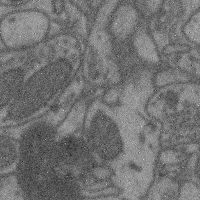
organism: Mouse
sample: Cerebral cortex